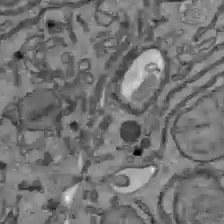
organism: C57BL Mouse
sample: Liver